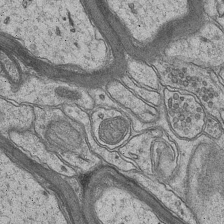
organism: Mouse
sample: CA1 Hippocampus